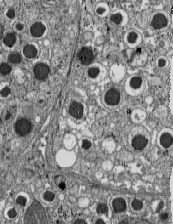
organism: C57BL Mouse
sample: Pancreatic islet